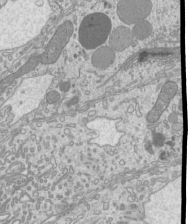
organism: Mouse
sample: Cilia; mouse epididymis